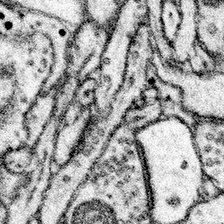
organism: Mouse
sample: Somatosensory cortex neuropil